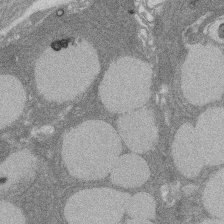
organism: Rat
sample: Salivary granule